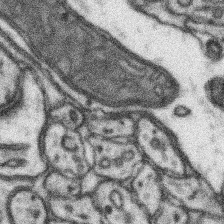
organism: Mouse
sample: Somatosensory cortex neuropil